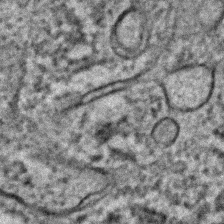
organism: C. elegans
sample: C. elegans embryo